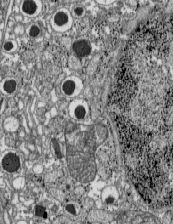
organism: C57BL Mouse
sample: Pancreatic islet